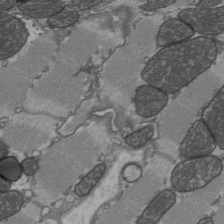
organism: C57BL Mouse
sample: Heart